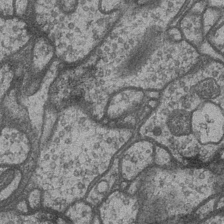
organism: Drosophila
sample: Optic medulla